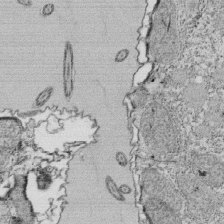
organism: Tetrahymena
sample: Cilia in tetrahymena